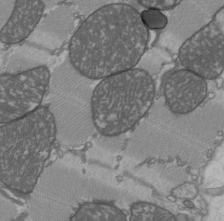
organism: C57BL Mouse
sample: Heart